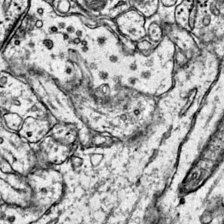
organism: Mouse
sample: Primary visual cortex